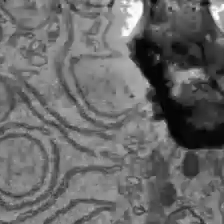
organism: C57BL Mouse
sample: Liver